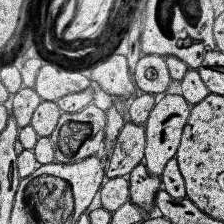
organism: Human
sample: Temporal Lobe